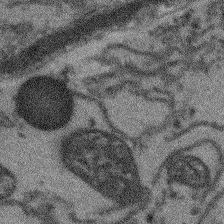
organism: Arabidopsis thaliana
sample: Root tip